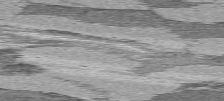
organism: C57BL Mouse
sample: Heart